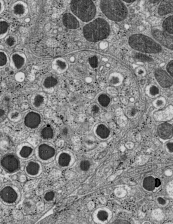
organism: C57BL Mouse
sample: Pancreatic islet